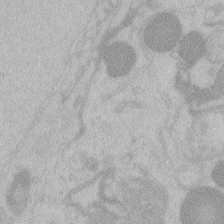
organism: Zebrafish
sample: Macrophage infected with Toxoplasma gondii